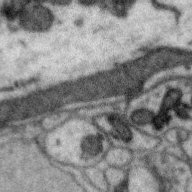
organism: Zebra finch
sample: Brain